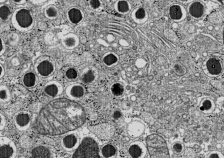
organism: C57BL Mouse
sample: Pancreatic islet